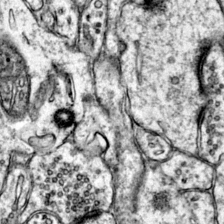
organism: Mouse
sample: Primary visual cortex